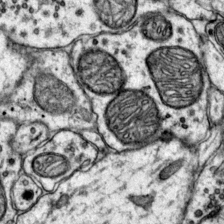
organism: Mouse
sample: Primary visual cortex